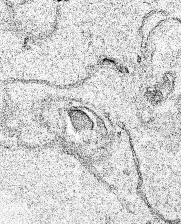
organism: Human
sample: Mitochondria in HCT116 cells